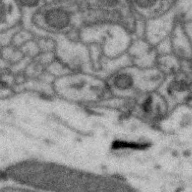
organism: Zebra finch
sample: Brain